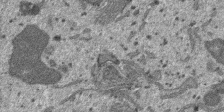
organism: Human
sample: Lung epithelial cells infected with SARS-CoV-2